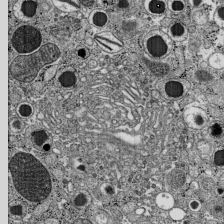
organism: C57BL Mouse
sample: Pancreatic islet